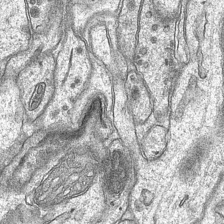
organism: Mouse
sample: CA1 Hippocampus